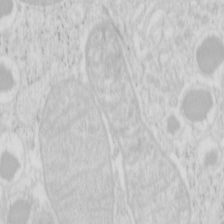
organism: Mouse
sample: Pancreas